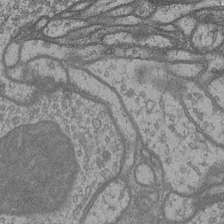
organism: Drosophila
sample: Optic medulla